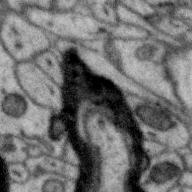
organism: Zebra finch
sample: Brain